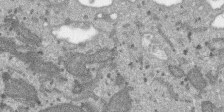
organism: Human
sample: Lung epithelial cells infected with SARS-CoV-2